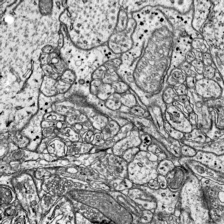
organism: Mouse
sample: Visual Cortex